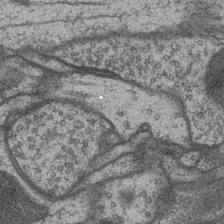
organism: Drosophila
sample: Optic medulla